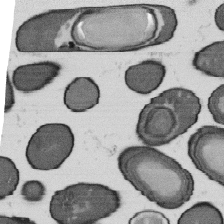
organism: B. subtilis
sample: Bacterial spore